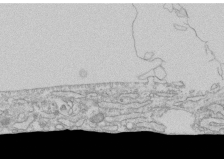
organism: Human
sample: CRL-1474